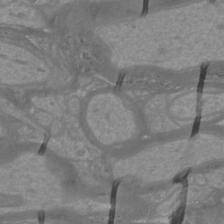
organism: Mouse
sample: Cortical neurons